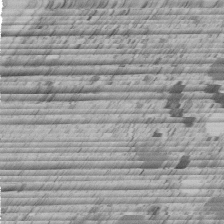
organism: C. elegans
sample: C. elegans embryo early stage